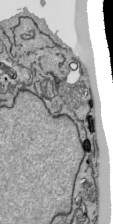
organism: Human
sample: Mitochondria in HCT116 cells